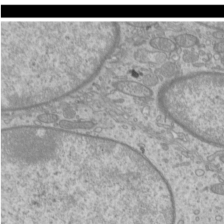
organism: Mouse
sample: Cilia; mouse epididymis